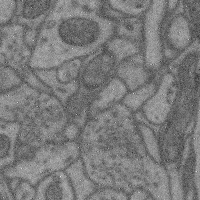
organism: Mouse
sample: Cerebral cortex